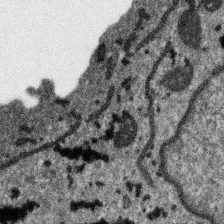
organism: Human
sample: Lung epithelial cells infected with SARS-CoV-2